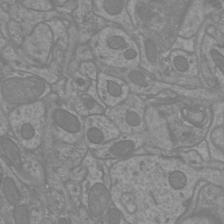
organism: Mouse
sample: Cortical neurons